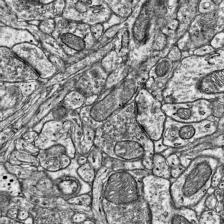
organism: Mouse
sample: Visual Cortex